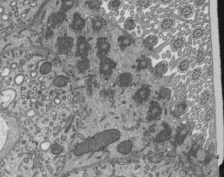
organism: Mouse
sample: Mouse epididymis efferent ductule cilia